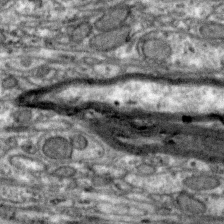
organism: Zebra finch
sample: Brain